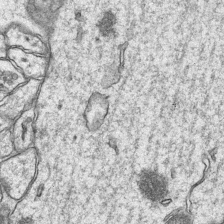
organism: Mouse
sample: CA1 Hippocampus